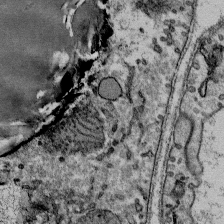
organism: Mouse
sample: Mouse Salivary gland